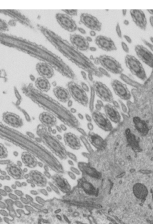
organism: Mouse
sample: Mouse epididymis efferent ductule cilia